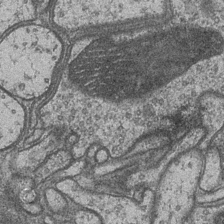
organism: Drosophila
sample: Optic medulla